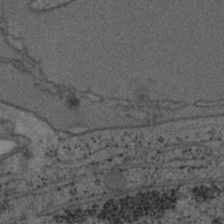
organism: Human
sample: HeLa cells